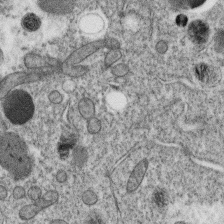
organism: C. elegans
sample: C. elegans oocyte; sperm cells